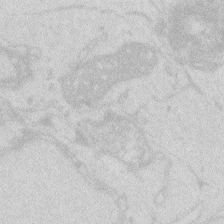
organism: Zebrafish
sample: Macrophage